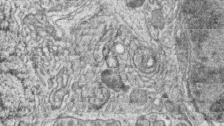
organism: Zebrafish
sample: synaptic ribbons in rod cells and cone cells